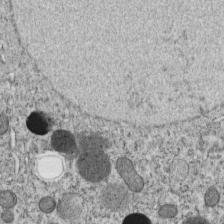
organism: C. elegans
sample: C. elegans embryo early stage